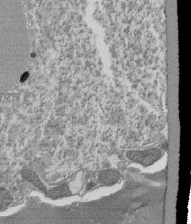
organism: Tetrahymena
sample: Cilia in tetrahymena